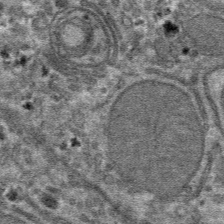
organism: Mouse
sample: Mouse hepatocytes